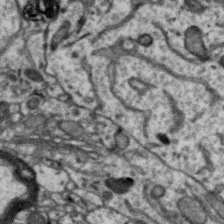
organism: Zebra finch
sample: Brain